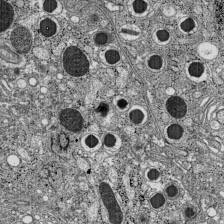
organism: C57BL Mouse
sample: Pancreatic islet